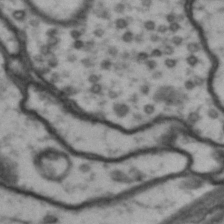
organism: Drosophila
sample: Brain